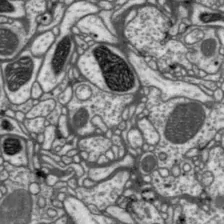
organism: Drosophila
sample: Protocerebral bridge